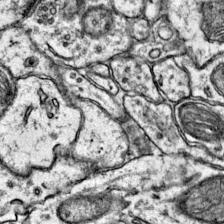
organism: Mouse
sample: Primary visual cortex